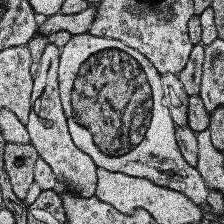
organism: Human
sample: Temporal Lobe